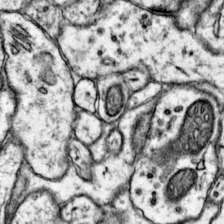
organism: Mouse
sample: Primary visual cortex